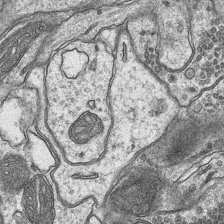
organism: Mouse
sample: CA1 Hippocampus